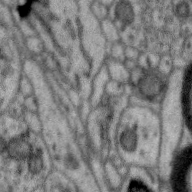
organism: Zebra finch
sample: Brain